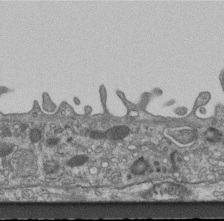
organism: Mouse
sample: Centriole in ependymal cells